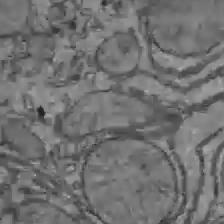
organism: C57BL Mouse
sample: Liver